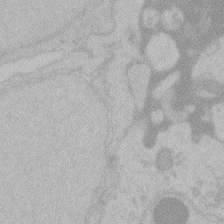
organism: Zebrafish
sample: Macrophage infected with Toxoplasma gondii